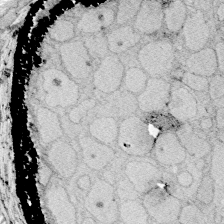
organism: Zebrafish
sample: Whole-Brain